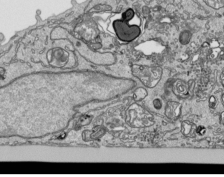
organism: Human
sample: Mitochondria in HCT116 cells